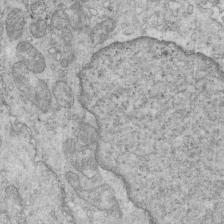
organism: Mouse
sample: Multiciliated cells